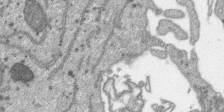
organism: Human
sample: Lung epithelial cells infected with SARS-CoV-2